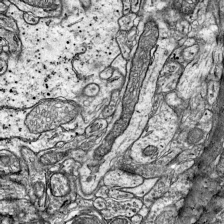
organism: Mouse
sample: Visual Cortex